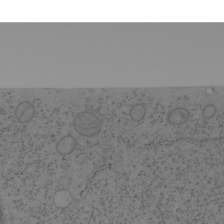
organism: Mouse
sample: OT-I killer T cells with ID8 ovarian cancer cells